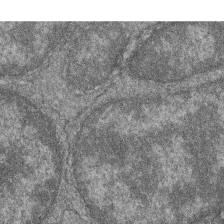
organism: Zebrafish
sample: Cilia; retinal pigment epithelium